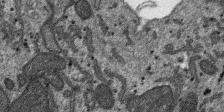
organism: Human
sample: Lung epithelial cells infected with SARS-CoV-2